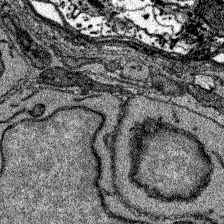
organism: Zebrafish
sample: Larval olfactory bulb